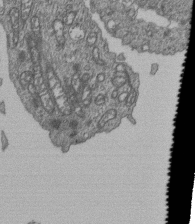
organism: Human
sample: Retinal organoid Rod and Cone cells